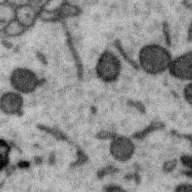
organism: Zebra finch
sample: Brain